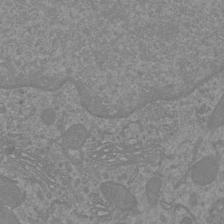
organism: Mouse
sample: Cortical neurons